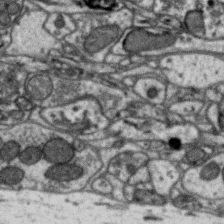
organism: Zebra finch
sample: Brain